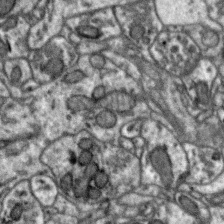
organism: Zebra finch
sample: Brain